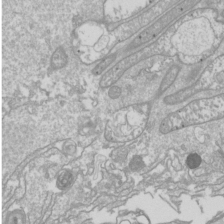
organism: Drosophila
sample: Cell division; meiosis; drosophila spermatocytes